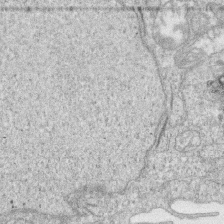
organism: Human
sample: HeLa cell HIV synapse